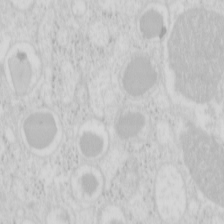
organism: Mouse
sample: Pancreas